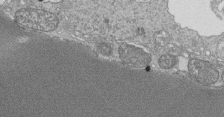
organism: Tetrahymena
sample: Cilia in tetrahymena